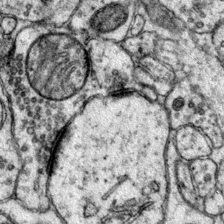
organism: Mouse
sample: Primary visual cortex